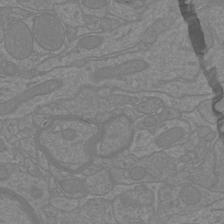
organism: Mouse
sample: Cortical neurons